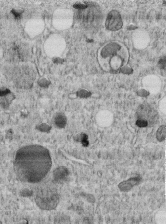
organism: C. elegans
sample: C. elegans embryo early stage